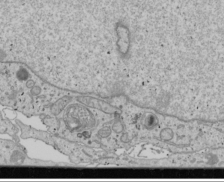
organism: Human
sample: Mitochondria in U2OS cells